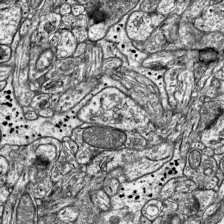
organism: Mouse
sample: Visual Cortex